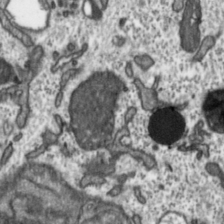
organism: Toxoplasma gondii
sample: Parasites in a vacuole inside a host cell